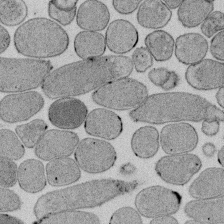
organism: E. coli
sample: Bacterial nucleoid